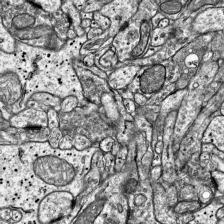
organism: Mouse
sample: Visual Cortex